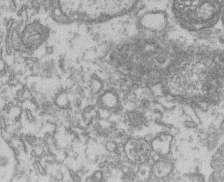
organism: Mouse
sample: T cell stromal cell synapse